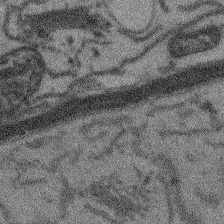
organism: Arabidopsis thaliana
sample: Root tip